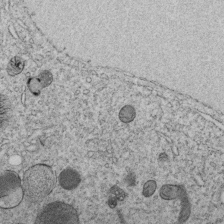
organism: C. elegans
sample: C. elegans embryo early stage